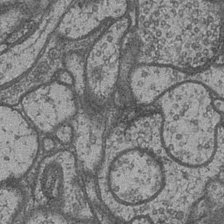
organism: Drosophila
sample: Optic medulla